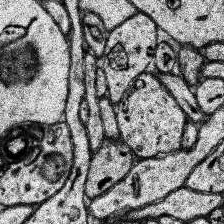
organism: Human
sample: Temporal Lobe